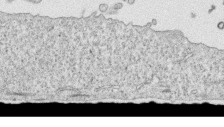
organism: Human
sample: HeLa cell HIV synapse